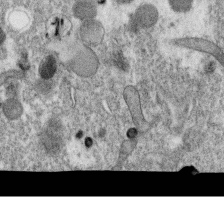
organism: C. elegans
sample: C. elegans oocyte; sperm cells